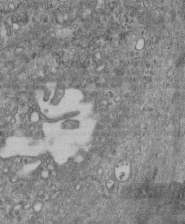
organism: Mouse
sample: Centriole in ependymal cells